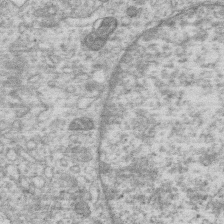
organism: Human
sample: Macrophage cells